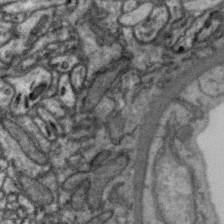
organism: Zebra finch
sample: Brain